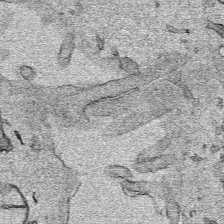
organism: Human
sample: Mitochondria in HCT116 cells